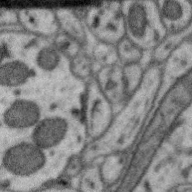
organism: Zebra finch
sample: Brain